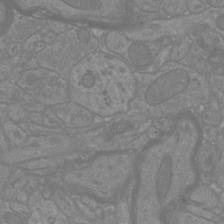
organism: Mouse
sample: Cortical neurons